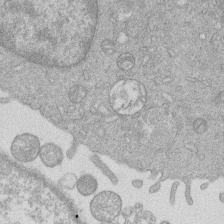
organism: Human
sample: Macrophage cells